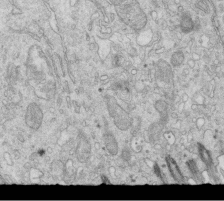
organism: Mouse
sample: Multiciliated cells